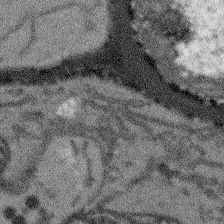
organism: Arabidopsis thaliana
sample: Root tip